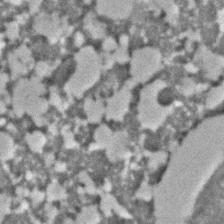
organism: C. elegans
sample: C. elegans embryo